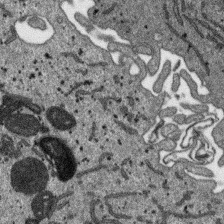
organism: Human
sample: Lung epithelial cells infected with SARS-CoV-2